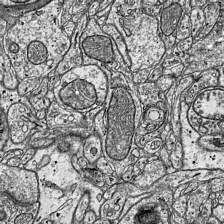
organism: Mouse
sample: Visual Cortex